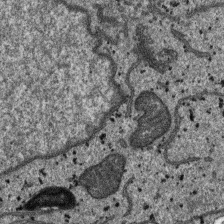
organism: Human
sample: Lung epithelial cells infected with SARS-CoV-2